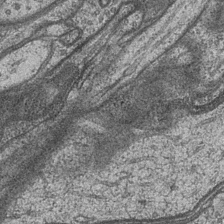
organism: Drosophila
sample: Optic medulla